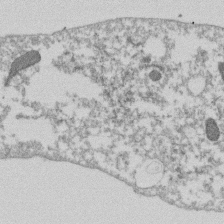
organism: Dictyostelium discoideum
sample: Dictyostelium multivesicular bodies